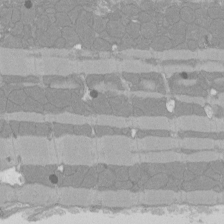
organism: Rat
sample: Left ventricle